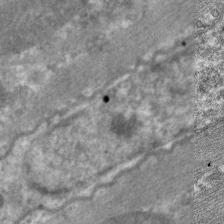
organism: C. elegans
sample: Pharynx